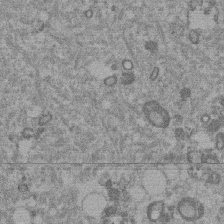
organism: Mouse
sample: Dividing mouse embryo 1 cell stage